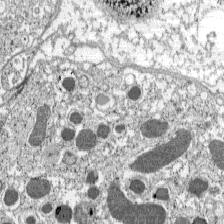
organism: C57BL Mouse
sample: Pancreatic islet